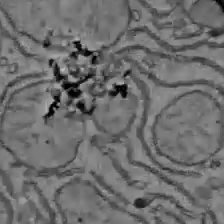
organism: C57BL Mouse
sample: Liver